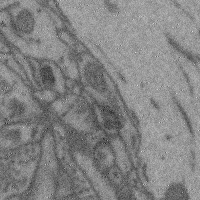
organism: Mouse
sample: Cerebral cortex